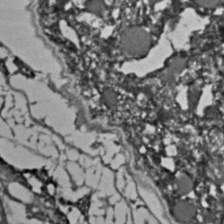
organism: C. elegans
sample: C. elegans embryo